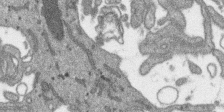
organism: Human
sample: Lung epithelial cells infected with SARS-CoV-2